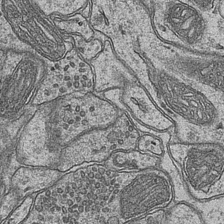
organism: Mouse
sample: CA1 Hippocampus